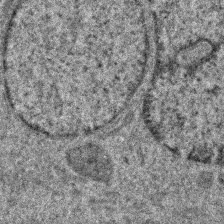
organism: Human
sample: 1205lu cells